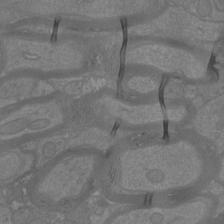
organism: Mouse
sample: Cortical neurons